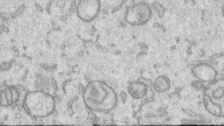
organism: Human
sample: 1205lu cells